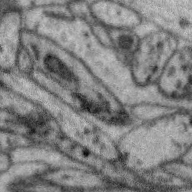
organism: Zebra finch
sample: Brain